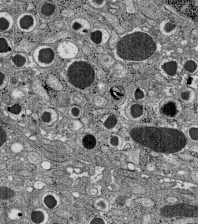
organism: C57BL Mouse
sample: Pancreatic islet